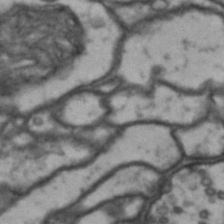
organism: Drosophila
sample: Brain